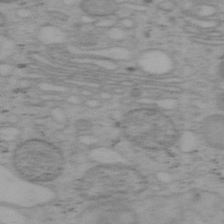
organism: Mouse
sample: OT-I killer T cells with ID8 ovarian cancer cells